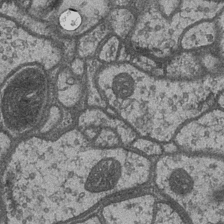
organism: Drosophila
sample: Optic medulla